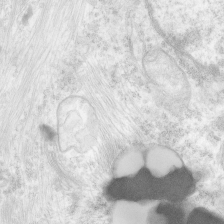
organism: Human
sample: Neocortex